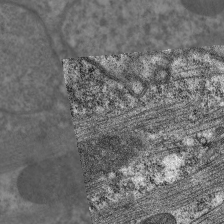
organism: C. elegans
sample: Pharynx